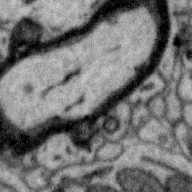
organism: Zebra finch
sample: Brain